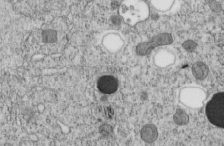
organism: C. elegans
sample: C. elegans embryo early stage